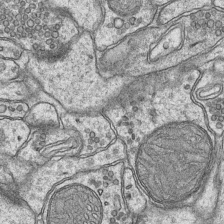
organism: Mouse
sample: CA1 Hippocampus